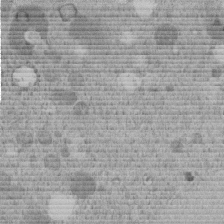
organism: C. elegans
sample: C. elegans embryo early stage